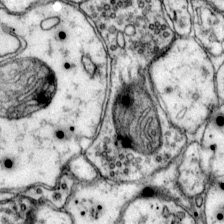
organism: Mouse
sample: Primary visual cortex